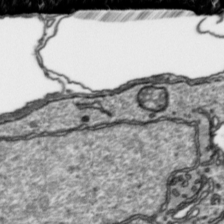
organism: Toxoplasma gondii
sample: Parasites in a vacuole inside a host cell